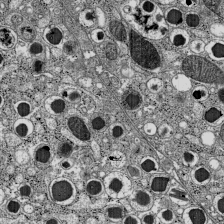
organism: C57BL Mouse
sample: Pancreatic islet